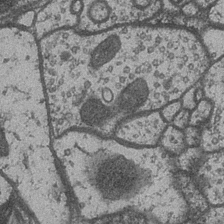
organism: Drosophila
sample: Optic medulla